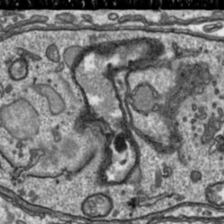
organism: Toxoplasma gondii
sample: Parasites in a vacuole inside a host cell